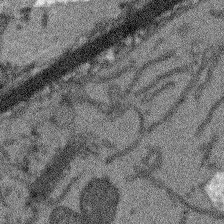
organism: Arabidopsis thaliana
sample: Root tip